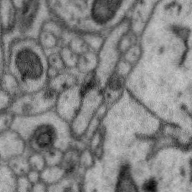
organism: Zebra finch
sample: Brain